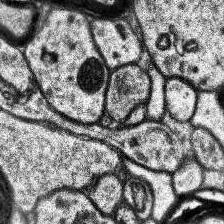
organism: Human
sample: Temporal Lobe